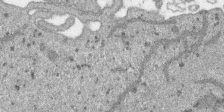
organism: Human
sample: Lung epithelial cells infected with SARS-CoV-2